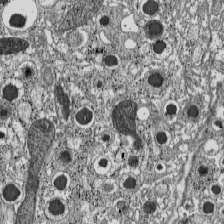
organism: C57BL Mouse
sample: Pancreatic islet